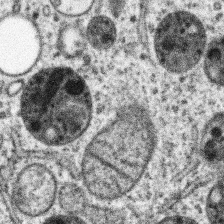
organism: Human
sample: HeLa cells